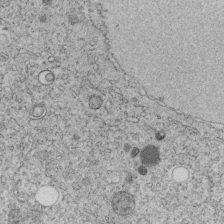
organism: C. elegans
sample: C. elegans embryo early stage